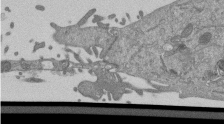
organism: Mouse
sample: ED-1 cell nuclei; centrioles